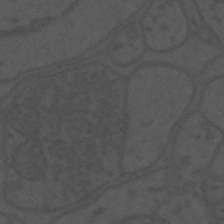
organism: Mouse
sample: Suprachiasmatic nucleus